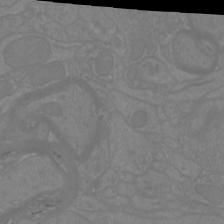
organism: Mouse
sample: Cortical neurons